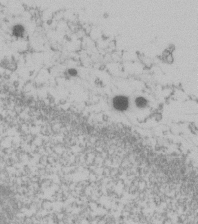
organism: Human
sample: U2-OS cells